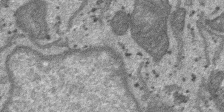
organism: Human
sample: Lung epithelial cells infected with SARS-CoV-2